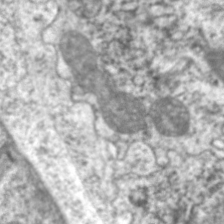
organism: C. elegans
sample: Pharynx